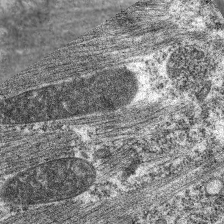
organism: C. elegans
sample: Pharynx